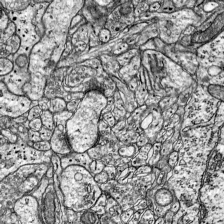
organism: Mouse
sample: Visual Cortex